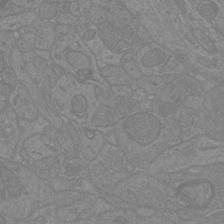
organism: Mouse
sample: Cortical neurons